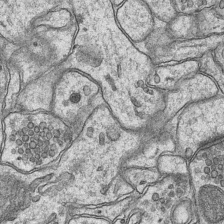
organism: Mouse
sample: CA1 Hippocampus